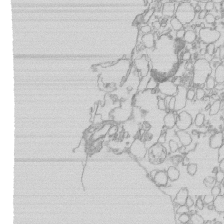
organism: Mouse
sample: Macrophages